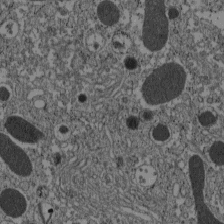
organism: C57BL Mouse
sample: Pancreatic islet